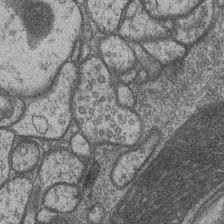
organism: Drosophila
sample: Optic medulla